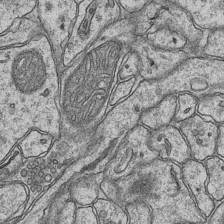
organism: Mouse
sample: CA1 Hippocampus